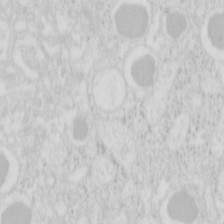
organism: Mouse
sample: Pancreas